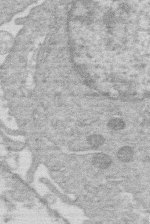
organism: Human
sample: Macrophage cells